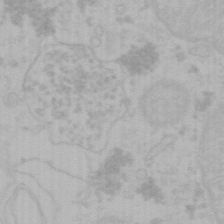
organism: Mouse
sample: Choroid plexus